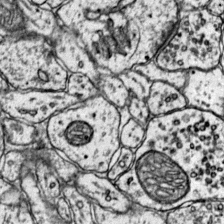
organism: Mouse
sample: Primary visual cortex